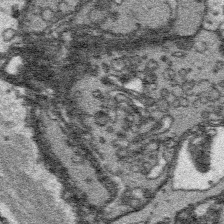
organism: Platynereis dumerilii